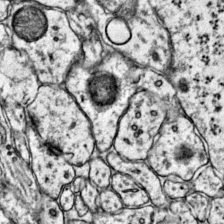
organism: Mouse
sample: Primary visual cortex